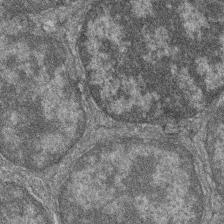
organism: Zebrafish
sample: Cilia; retinal pigment epithelium